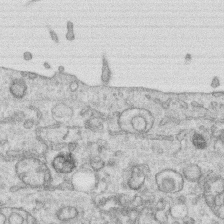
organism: Human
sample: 1205lu cells